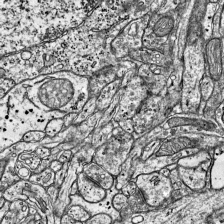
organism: Mouse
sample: Visual Cortex